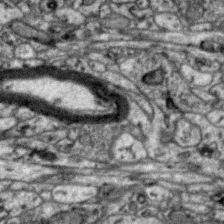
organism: Zebra finch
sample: Brain